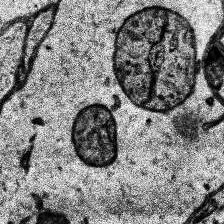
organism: Human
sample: Temporal Lobe